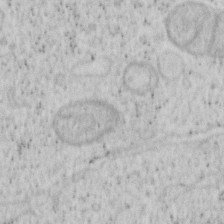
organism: Human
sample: HeLa cells